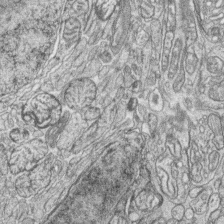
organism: Zebrafish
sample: synaptic ribbons in rod cells and cone cells